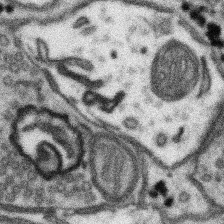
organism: Mouse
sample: Somatosensory cortex neuropil